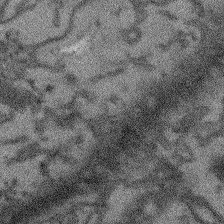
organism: Arabidopsis thaliana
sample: Root tip